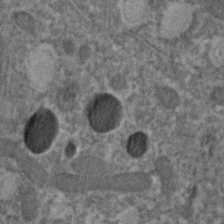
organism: C. elegans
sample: C. elegans embryo